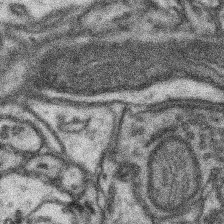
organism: Mouse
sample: Somatosensory cortex neuropil